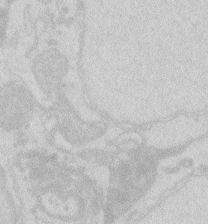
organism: Zebrafish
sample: Macrophage